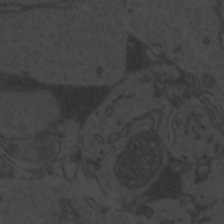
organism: Zebrafish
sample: Macrophage infected with Toxoplasma gondii